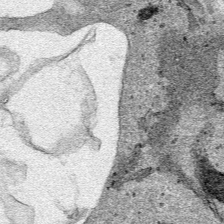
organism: Human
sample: Mitochondria in HCT116 cells